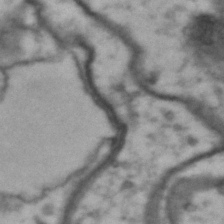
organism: Drosophila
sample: Brain